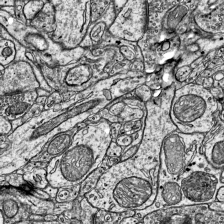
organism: Mouse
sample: Visual Cortex